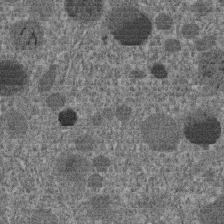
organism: C. elegans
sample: C. elegans embryo early stage